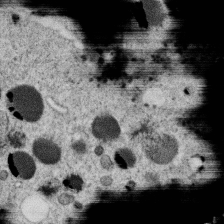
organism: C. elegans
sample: C. elegans oocyte; sperm cells